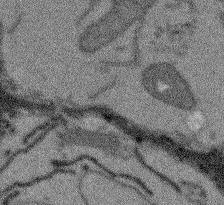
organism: Arabidopsis thaliana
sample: Root tip